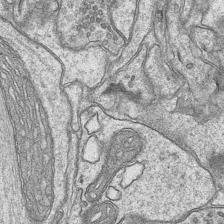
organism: Mouse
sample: CA1 Hippocampus